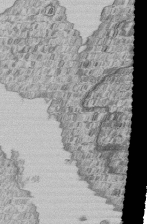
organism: Human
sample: MDA-MB-231 cells